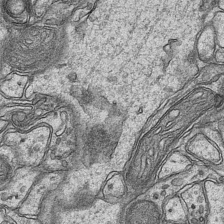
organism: Mouse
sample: CA1 Hippocampus